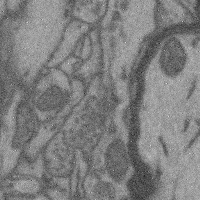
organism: Mouse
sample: Cerebral cortex